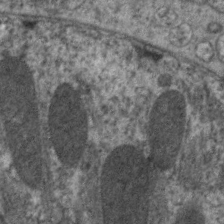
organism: C. elegans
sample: Pharynx